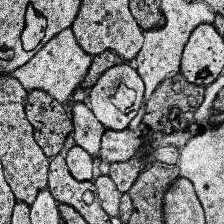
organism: Human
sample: Temporal Lobe